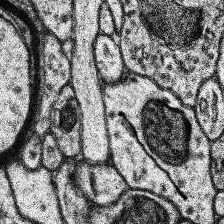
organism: Human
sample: Temporal Lobe